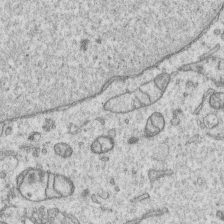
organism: Human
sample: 1205lu cells